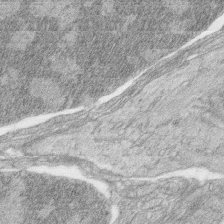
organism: Zebrafish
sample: synaptic ribbons in rod cells and cone cells